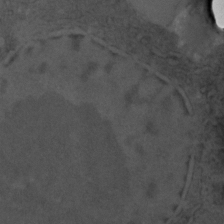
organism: C. elegans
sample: C. elegans embryo